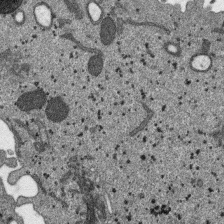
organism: Human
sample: Lung epithelial cells infected with SARS-CoV-2